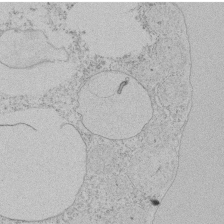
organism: Tetrahymena